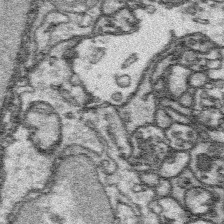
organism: Platynereis dumerilii